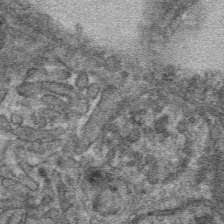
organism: Mouse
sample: Mouse hepatocytes